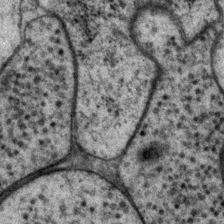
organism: P. pacificus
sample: Pharynx